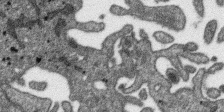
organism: Human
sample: Lung epithelial cells infected with SARS-CoV-2